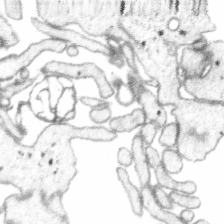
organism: Human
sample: HeLa cells